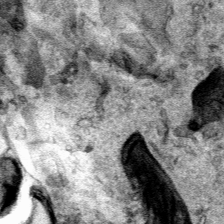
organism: Human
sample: Mitochondria in HCT116 cells